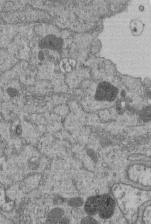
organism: Human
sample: Retinal organoid Rod and Cone cells